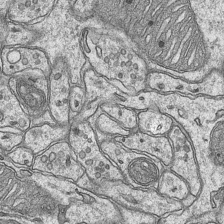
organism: Mouse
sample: CA1 Hippocampus